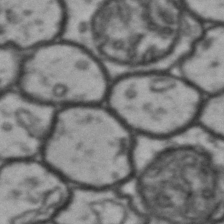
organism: Drosophila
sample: Brain